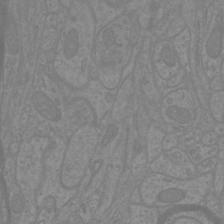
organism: Mouse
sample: Cortical neurons